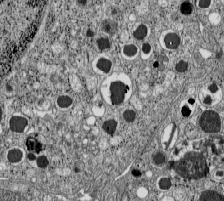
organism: C57BL Mouse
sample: Pancreatic islet